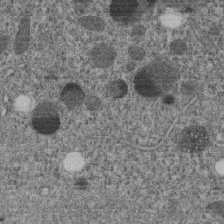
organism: C. elegans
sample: C. elegans embryo early stage